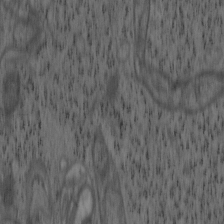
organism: Human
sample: HeLa cells